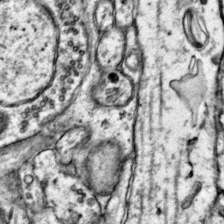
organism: Mouse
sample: Primary visual cortex